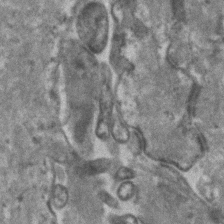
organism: Human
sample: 1205lu cells